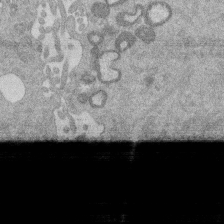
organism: Mouse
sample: Dividing mouse embryo 1 cell stage